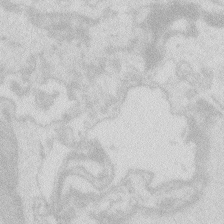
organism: Zebrafish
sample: Macrophage